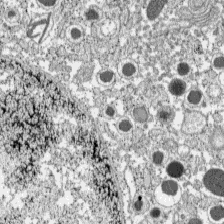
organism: C57BL Mouse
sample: Pancreatic islet